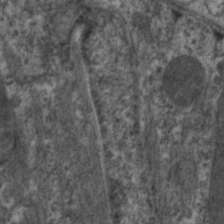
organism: C. elegans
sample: Pharynx